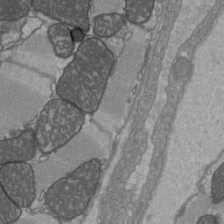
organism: C57BL Mouse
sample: Heart